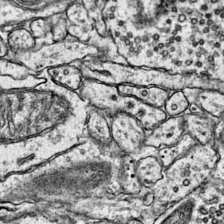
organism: Mouse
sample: Primary visual cortex